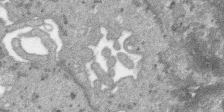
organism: Human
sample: Lung epithelial cells infected with SARS-CoV-2